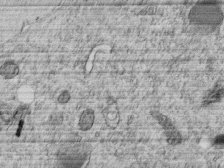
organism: C. elegans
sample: C. elegans embryo early stage